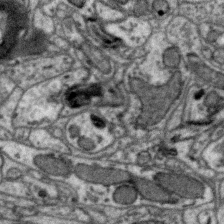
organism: Zebra finch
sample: Brain